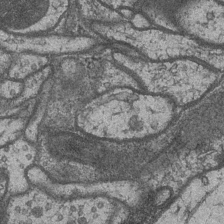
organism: Drosophila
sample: Optic medulla